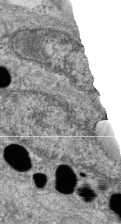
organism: Zebrafish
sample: Cilia; retinal pigment epithelium